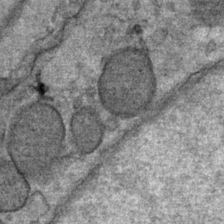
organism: Mouse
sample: Mouse Salivary gland